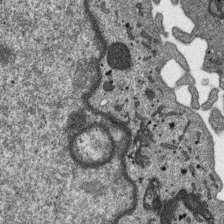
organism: Human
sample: Lung epithelial cells infected with SARS-CoV-2